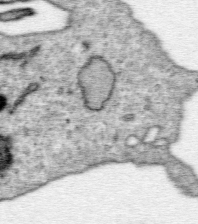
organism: Human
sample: HeLa cells